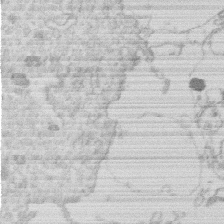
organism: Human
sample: Macrophage cells